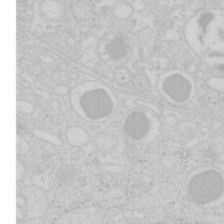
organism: Mouse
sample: Pancreas